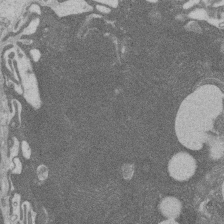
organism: Rat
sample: Salivary granule